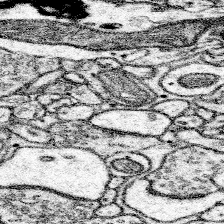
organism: Mouse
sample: Somatosensory cortex neuropil